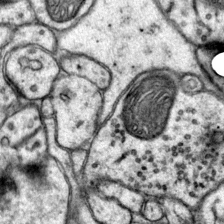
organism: Mouse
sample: Primary visual cortex